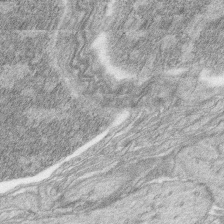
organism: Zebrafish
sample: synaptic ribbons in rod cells and cone cells